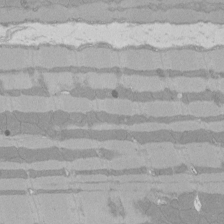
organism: Rat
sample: Left ventricle